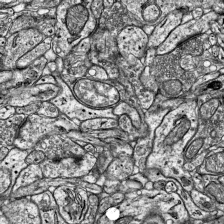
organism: Mouse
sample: Visual Cortex